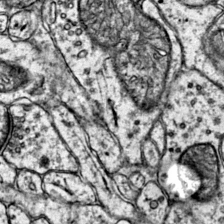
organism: Mouse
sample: Primary visual cortex